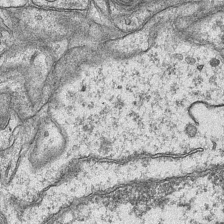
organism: Mouse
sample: CA1 Hippocampus